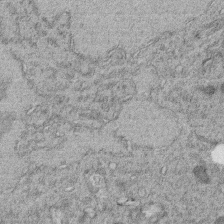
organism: C. elegans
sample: C. elegans embryo early stage